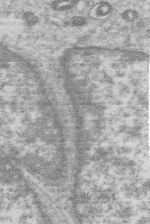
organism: Human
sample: Macrophage cells